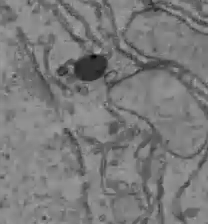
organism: C57BL Mouse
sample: Liver